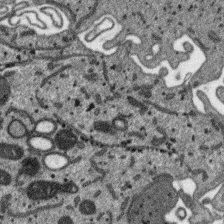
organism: Human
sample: Lung epithelial cells infected with SARS-CoV-2